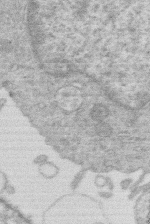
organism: Human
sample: Macrophage cells